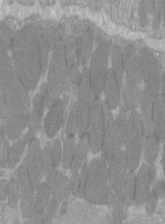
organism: C57BL Mouse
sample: Tibialis anterior muscle cell